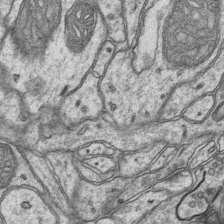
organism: Mouse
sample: CA1 Hippocampus